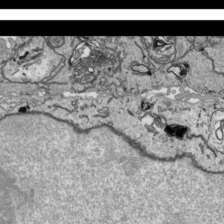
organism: Human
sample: Mitochondria in HCT116 cells